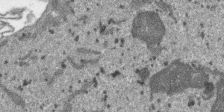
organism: Human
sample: Lung epithelial cells infected with SARS-CoV-2